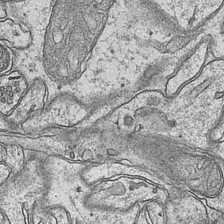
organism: Mouse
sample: CA1 Hippocampus